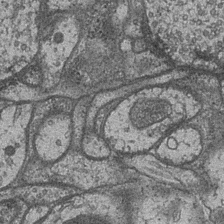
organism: Drosophila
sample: Optic medulla